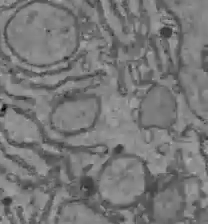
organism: C57BL Mouse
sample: Liver